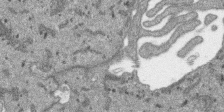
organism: Human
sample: Lung epithelial cells infected with SARS-CoV-2